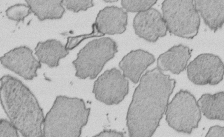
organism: E. coli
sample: Bacterial nucleoid